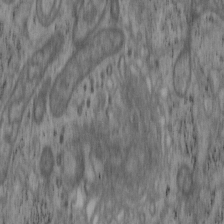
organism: Human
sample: HeLa cells